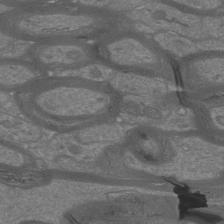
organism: Mouse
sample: Cortical neurons